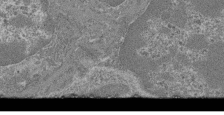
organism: Mouse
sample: Glomerulus